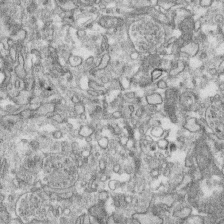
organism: Human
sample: CRL-1474